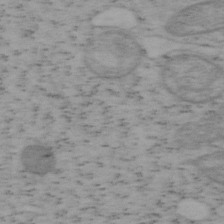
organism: Mouse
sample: OT-I killer T cells with ID8 ovarian cancer cells